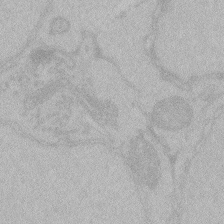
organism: Zebrafish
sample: Macrophage infected with Toxoplasma gondii